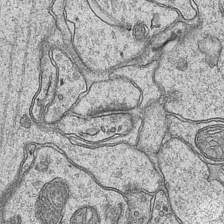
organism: Mouse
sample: CA1 Hippocampus